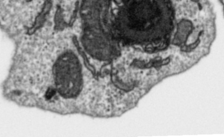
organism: Toxoplasma gondii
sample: Parasites in a vacuole inside a host cell